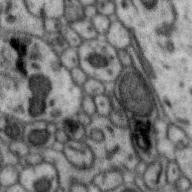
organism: Zebra finch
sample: Brain